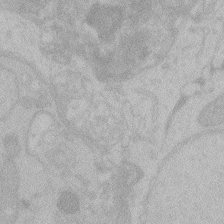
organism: Zebrafish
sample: Macrophage infected with Toxoplasma gondii